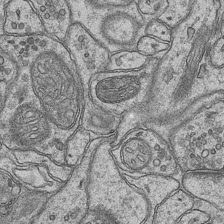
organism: Mouse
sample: CA1 Hippocampus